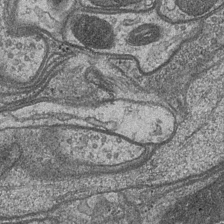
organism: Drosophila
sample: Optic medulla